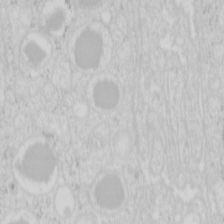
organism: Mouse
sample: Pancreas